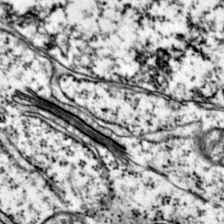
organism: Mouse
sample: Primary visual cortex